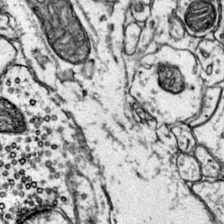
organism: Mouse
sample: Primary visual cortex